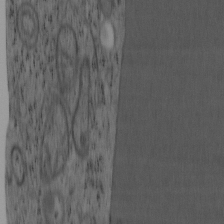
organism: Human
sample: HeLa cells